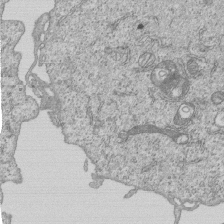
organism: Human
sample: MDA-MB-231 cells